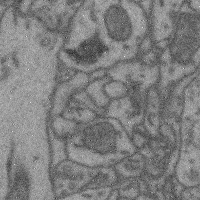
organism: Mouse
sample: Cerebral cortex